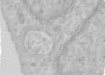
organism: Human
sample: Centriole in RPE cells